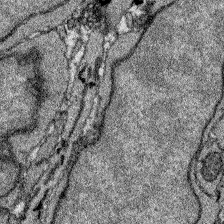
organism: Zebrafish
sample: Larval olfactory bulb